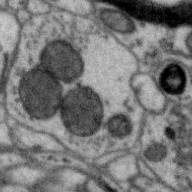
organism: Zebra finch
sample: Brain